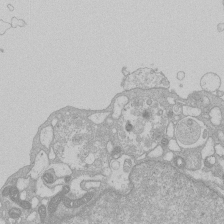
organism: Human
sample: Macrophage cells